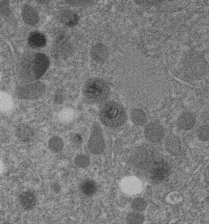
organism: C. elegans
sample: C. elegans embryo early stage